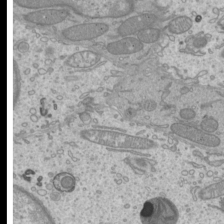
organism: Mouse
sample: Cilia; mouse epididymis